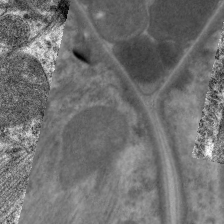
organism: C. elegans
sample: Pharynx